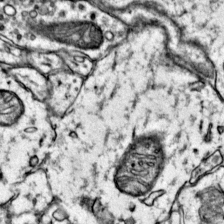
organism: Mouse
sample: Primary visual cortex